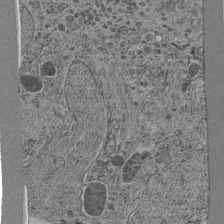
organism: C. elegans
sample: C. elegans pharynx